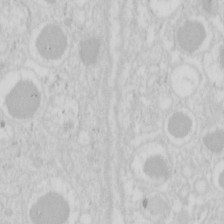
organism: Mouse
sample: Pancreas